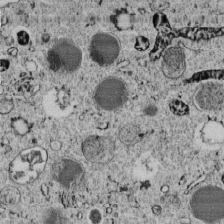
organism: C. elegans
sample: C. elegans embryo early stage